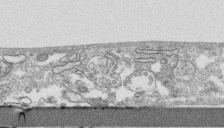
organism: Human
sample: CRL-1474